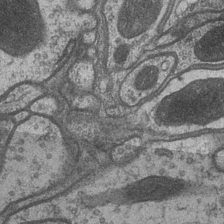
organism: Drosophila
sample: Optic medulla